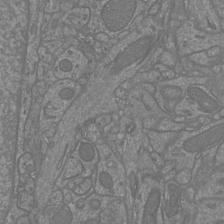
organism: Mouse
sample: Cortical neurons